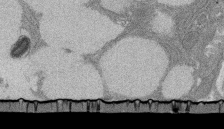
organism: Rat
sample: Salivary granule